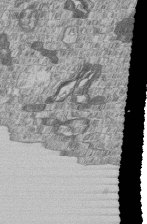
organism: Human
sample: MDA-MB-231 cells